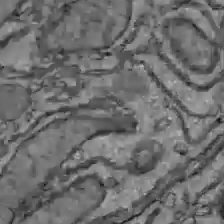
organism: C57BL Mouse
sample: Liver